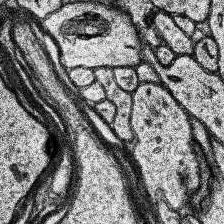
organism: Human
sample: Temporal Lobe